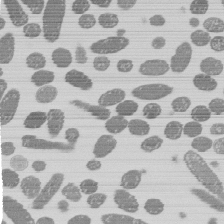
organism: E. coli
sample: Bacterial nucleoid